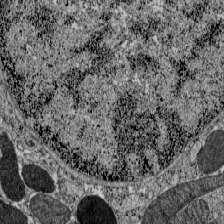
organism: C57BL Mouse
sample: Pancreatic islet